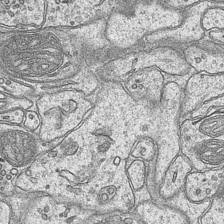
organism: Mouse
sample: CA1 Hippocampus